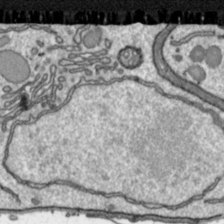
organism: Toxoplasma gondii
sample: Parasites in a vacuole inside a host cell